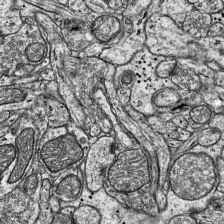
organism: Mouse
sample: Visual Cortex